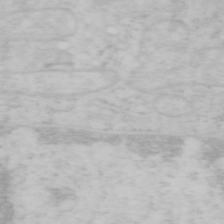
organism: Mouse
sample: OT-I killer T cells with ID8 ovarian cancer cells